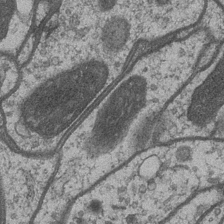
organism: Drosophila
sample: Optic medulla